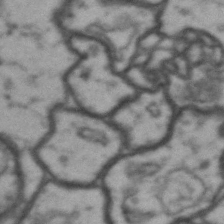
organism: Drosophila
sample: Brain